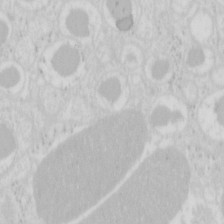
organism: Mouse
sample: Pancreas